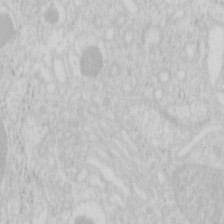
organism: Mouse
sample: Pancreas